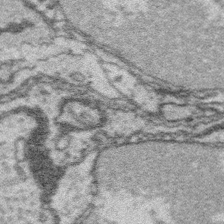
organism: Platynereis dumerilii